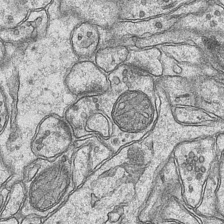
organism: Mouse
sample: CA1 Hippocampus